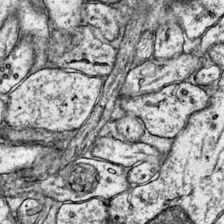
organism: Mouse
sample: Primary visual cortex